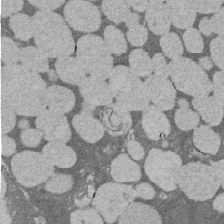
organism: Rat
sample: Salivary granule